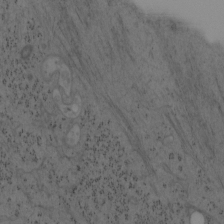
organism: Mouse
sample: OT-I killer T cells with ID8 ovarian cancer cells